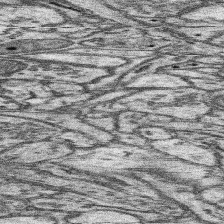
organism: Mouse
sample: Somatosensory cortex neuropil